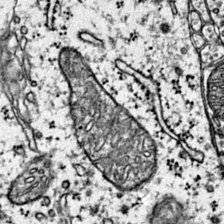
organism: Mouse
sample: Primary visual cortex